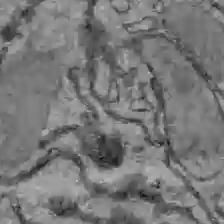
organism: C57BL Mouse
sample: Liver